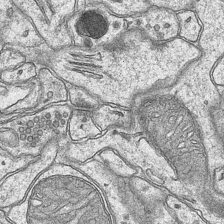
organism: Mouse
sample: CA1 Hippocampus